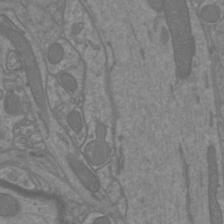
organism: Mouse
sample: Cortical neurons